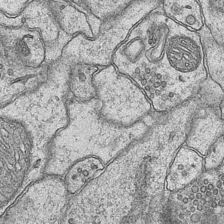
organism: Mouse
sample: CA1 Hippocampus